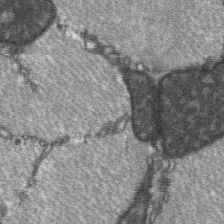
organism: C57BL Mouse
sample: Soleus